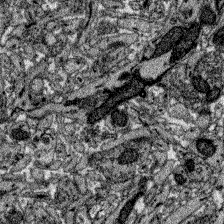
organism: Zebrafish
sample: Larval olfactory bulb